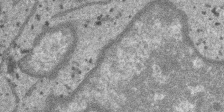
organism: Human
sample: Lung epithelial cells infected with SARS-CoV-2